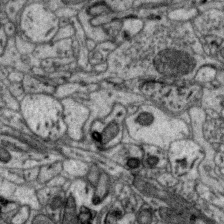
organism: Zebra finch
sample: Brain